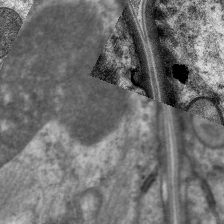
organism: C. elegans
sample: Pharynx